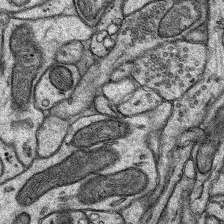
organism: Rat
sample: Hippocampus